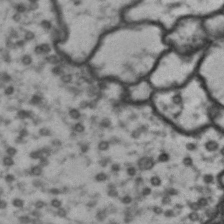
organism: Drosophila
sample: Brain